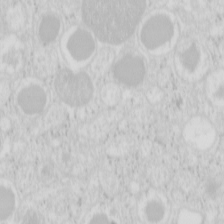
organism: Mouse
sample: Pancreas